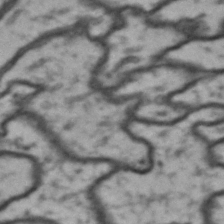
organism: Drosophila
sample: Brain